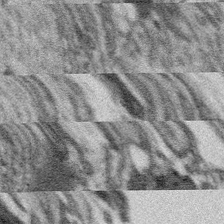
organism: Platynereis dumerilii